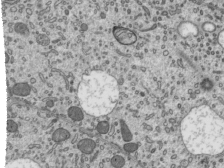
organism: Mouse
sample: Mouse epididymis efferent ductule cilia